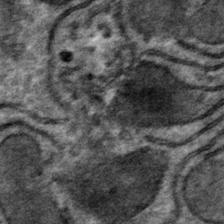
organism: Mouse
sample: Mouse hepatocytes